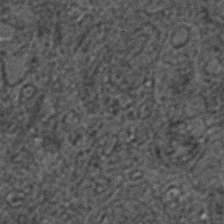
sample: Trachea